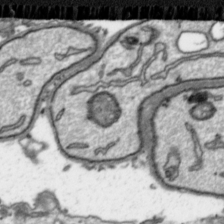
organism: Toxoplasma gondii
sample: Parasites in a vacuole inside a host cell